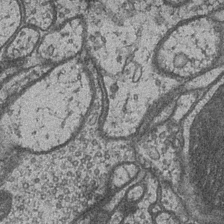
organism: Drosophila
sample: Optic medulla